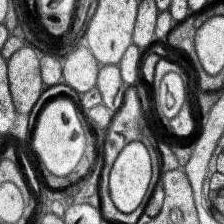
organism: Human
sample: Temporal Lobe